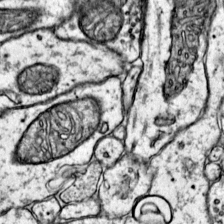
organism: Mouse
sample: Primary visual cortex